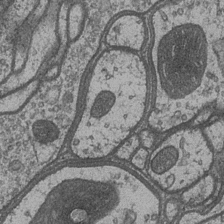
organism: Drosophila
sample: Optic medulla